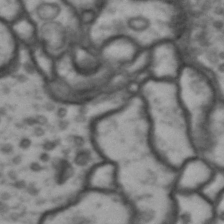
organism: Drosophila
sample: Brain